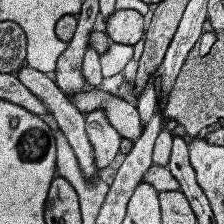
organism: Human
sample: Temporal Lobe